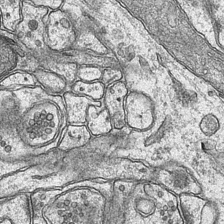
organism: Mouse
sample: CA1 Hippocampus